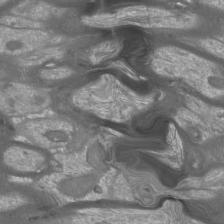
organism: Mouse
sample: Cortical neurons